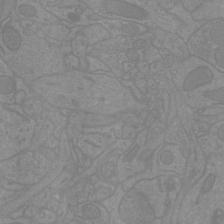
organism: Mouse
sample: Cortical neurons